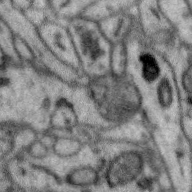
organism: Zebra finch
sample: Brain